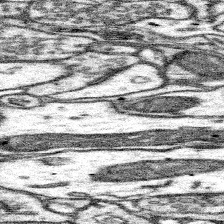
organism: Mouse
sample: Somatosensory cortex neuropil